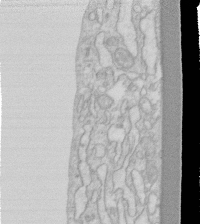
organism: Human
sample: Fibroblast cells